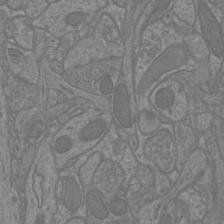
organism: Mouse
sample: Cortical neurons